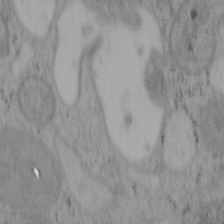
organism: Mouse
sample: OT-I killer T cells with ID8 ovarian cancer cells